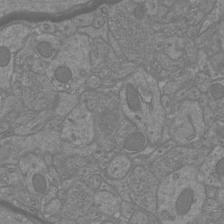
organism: Mouse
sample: Cortical neurons